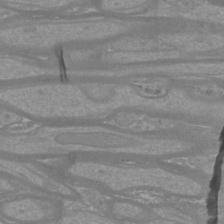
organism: Mouse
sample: Cortical neurons